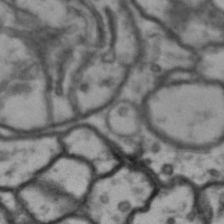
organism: Drosophila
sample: Brain